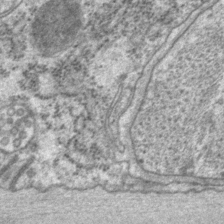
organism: P. pacificus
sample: Pharynx